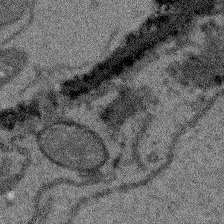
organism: Arabidopsis thaliana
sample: Root tip